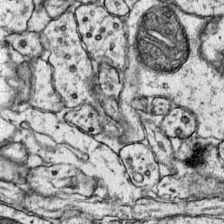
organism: Mouse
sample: Primary visual cortex